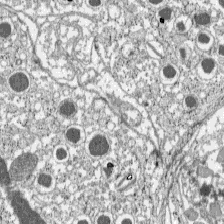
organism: C57BL Mouse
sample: Pancreatic islet